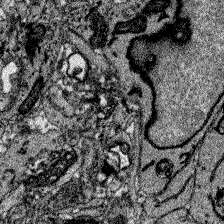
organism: Zebrafish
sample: Larval olfactory bulb